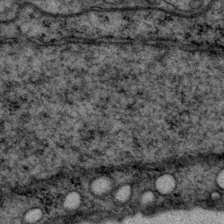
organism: P. pacificus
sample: Pharynx